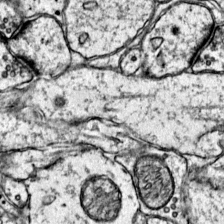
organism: Mouse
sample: Primary visual cortex